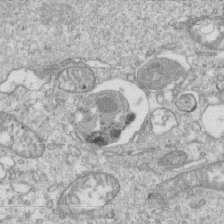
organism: Mouse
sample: Activated OT-1 CD8+ T cells